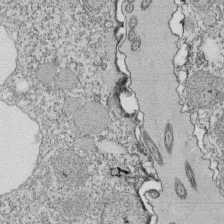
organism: Tetrahymena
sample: Cilia in tetrahymena